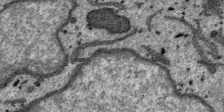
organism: Human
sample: Lung epithelial cells, uninfected (mock) control